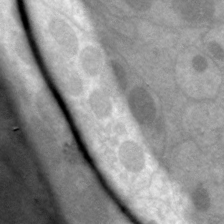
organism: C. elegans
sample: Pharynx